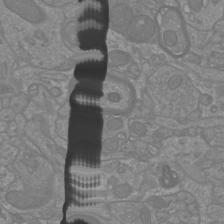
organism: Mouse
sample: Cortical neurons